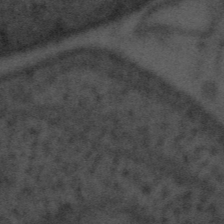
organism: Tuwongella immobilis